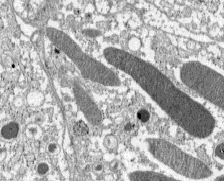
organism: C57BL Mouse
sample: Pancreatic islet